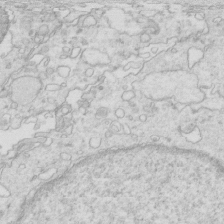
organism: Mouse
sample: Multiciliated cells